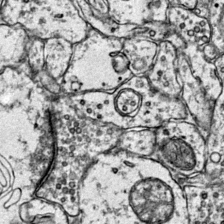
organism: Mouse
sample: Primary visual cortex